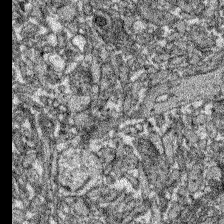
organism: Zebrafish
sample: Larval olfactory bulb